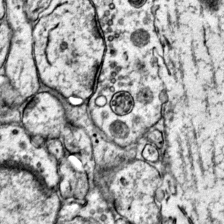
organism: Mouse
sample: Primary visual cortex